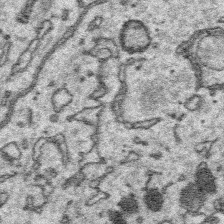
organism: Platynereis dumerilii